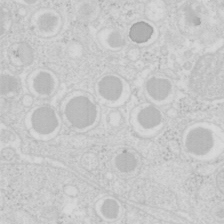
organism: Mouse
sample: Pancreas